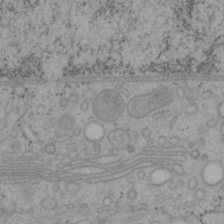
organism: Human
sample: HeLa cells